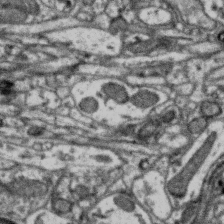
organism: Zebra finch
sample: Brain